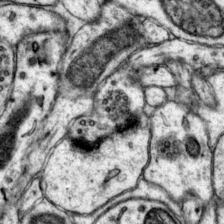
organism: Mouse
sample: Primary visual cortex